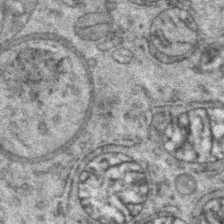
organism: Zebrafish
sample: Zebrafish embryo